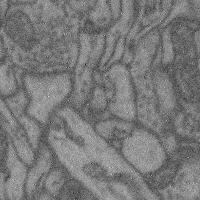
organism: Mouse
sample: Cerebral cortex